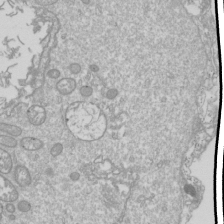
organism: Drosophila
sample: Cell division; meiosis; drosophila spermatocytes